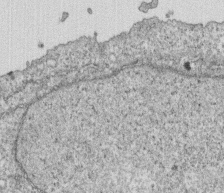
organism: Human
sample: HeLa cell HIV synapse